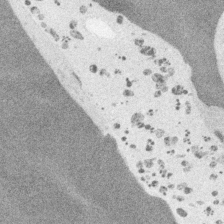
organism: Embia sp.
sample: Silk gland